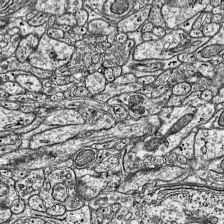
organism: Mouse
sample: Visual Cortex